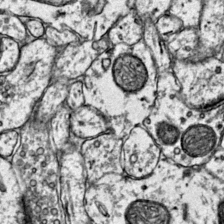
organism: Mouse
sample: Primary visual cortex